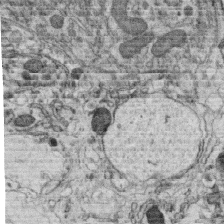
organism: C. elegans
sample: C. elegans oocyte; sperm cells